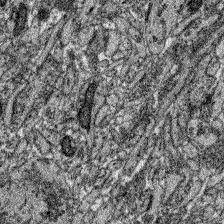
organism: Zebrafish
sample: Larval olfactory bulb